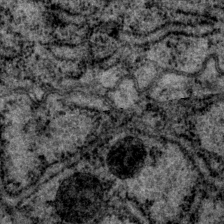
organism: P. pacificus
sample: Pharynx